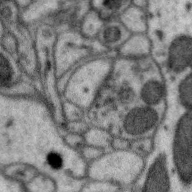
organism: Zebra finch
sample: Brain